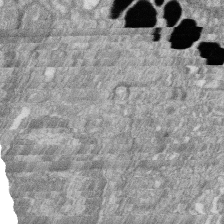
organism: Zebrafish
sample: Cilia; retinal pigment epithelium